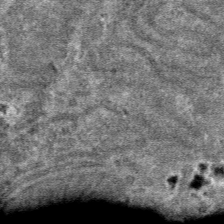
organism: Mouse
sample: Mouse hepatocytes